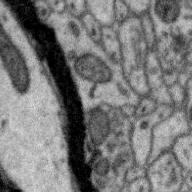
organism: Zebra finch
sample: Brain